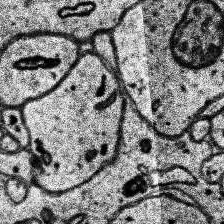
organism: Human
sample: Temporal Lobe